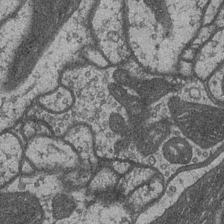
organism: Drosophila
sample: Optic medulla